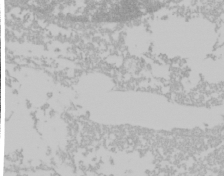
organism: Mouse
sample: Cancer cell death in ED-1 cells